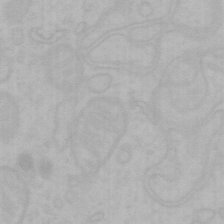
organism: Mouse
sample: Choroid plexus